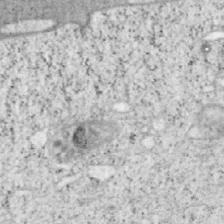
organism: Mouse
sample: OT-I killer T cells with ID8 ovarian cancer cells